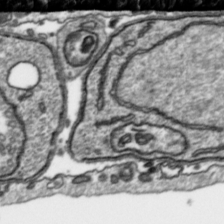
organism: Toxoplasma gondii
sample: Parasites in a vacuole inside a host cell